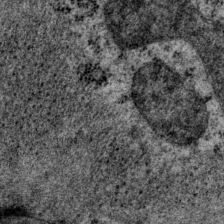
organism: P. pacificus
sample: Pharynx